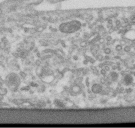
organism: Human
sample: Centriole in RPE cells